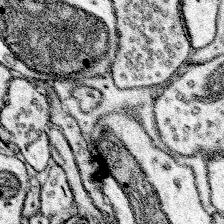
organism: Mouse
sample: Somatosensory cortex neuropil